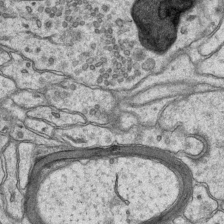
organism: Mouse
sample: CA1 Hippocampus